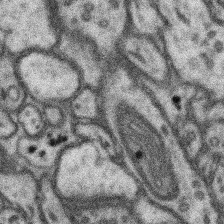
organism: Mouse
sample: Somatosensory cortex neuropil